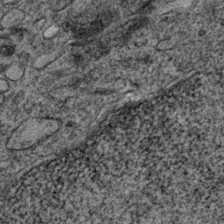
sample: Trachea